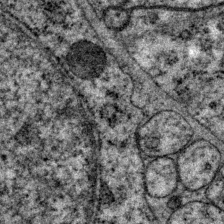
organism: P. pacificus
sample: Pharynx